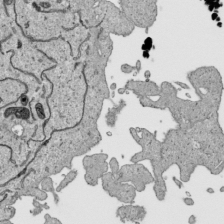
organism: Human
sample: Mitochondria in HCT116 cells